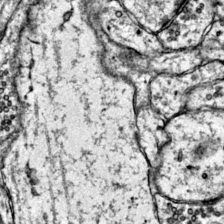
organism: Mouse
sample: Primary visual cortex